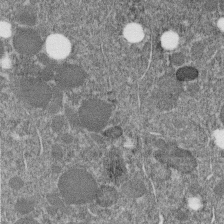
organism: C. elegans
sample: C. elegans embryo early stage